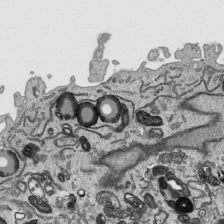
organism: Human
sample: Mitochondria in HCT116 cells